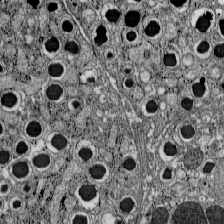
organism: C57BL Mouse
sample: Pancreatic islet